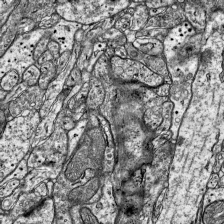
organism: Mouse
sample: Visual Cortex